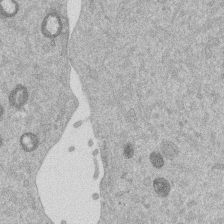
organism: Mouse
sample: Dividing mouse embryo 1 cell stage